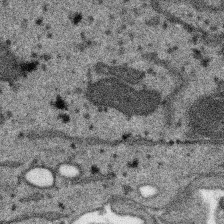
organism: Human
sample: Lung epithelial cells infected with SARS-CoV-2